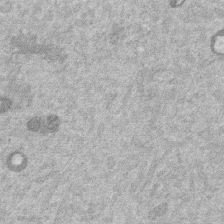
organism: Mouse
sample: Dividing mouse embryo 1 cell stage